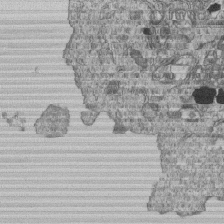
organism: Human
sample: MDA-MB-231 cells